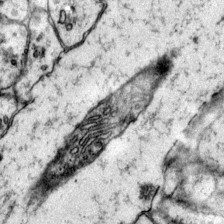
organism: Mouse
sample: Primary visual cortex